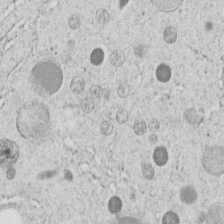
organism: C. elegans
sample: C. elegans embryo early stage